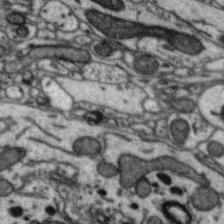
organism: Zebra finch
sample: Brain